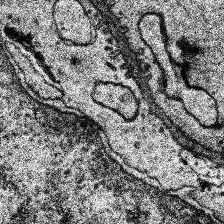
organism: Human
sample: Temporal Lobe